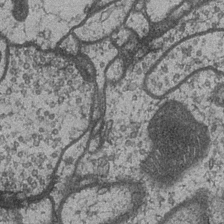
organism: Drosophila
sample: Optic medulla